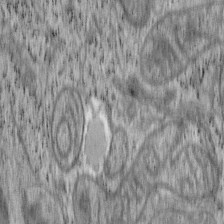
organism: Human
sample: HeLa cells